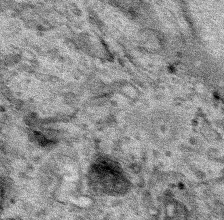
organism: Human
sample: Mitochondria in HCT116 cells